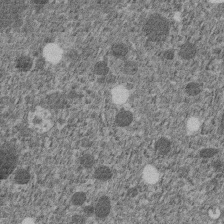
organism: C. elegans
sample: C. elegans embryo early stage